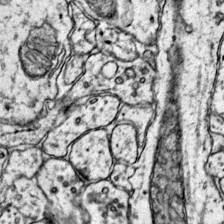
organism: Mouse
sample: Primary visual cortex